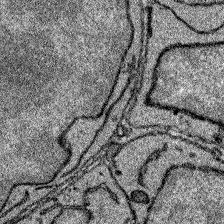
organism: Zebrafish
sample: Larval olfactory bulb